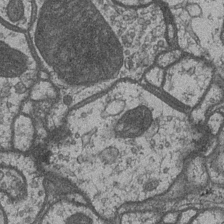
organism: Drosophila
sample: Optic medulla